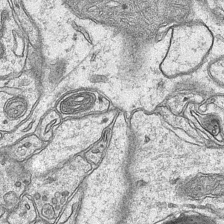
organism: Mouse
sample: CA1 Hippocampus